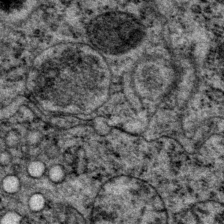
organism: P. pacificus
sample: Pharynx